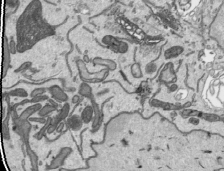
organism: Human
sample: Mitochondria in HCT116 cells